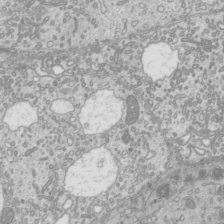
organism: Mouse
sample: Cilia; mouse epididymis